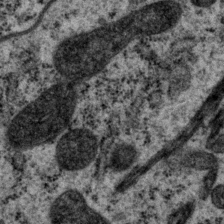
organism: P. pacificus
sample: Pharynx